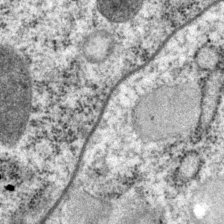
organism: P. pacificus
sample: Pharynx